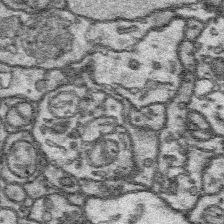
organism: Platynereis dumerilii